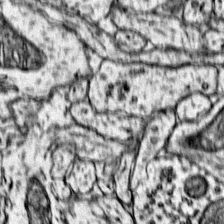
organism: Mouse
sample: Primary visual cortex